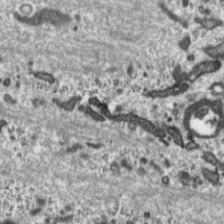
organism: Toxoplasma gondii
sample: Parasites in a vacuole inside a host cell